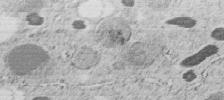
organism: C. elegans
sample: C. elegans embryo early stage